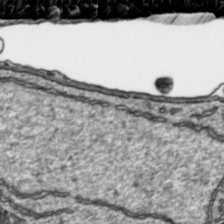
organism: Toxoplasma gondii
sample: Parasites in a vacuole inside a host cell